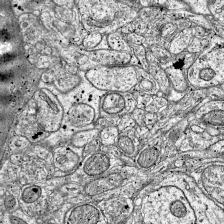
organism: Mouse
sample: Visual Cortex